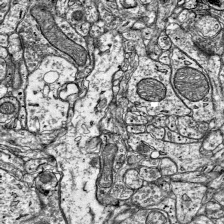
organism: Mouse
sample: Visual Cortex